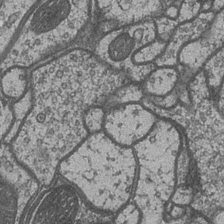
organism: Drosophila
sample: Optic medulla